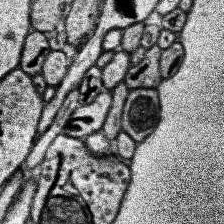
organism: Human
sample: Temporal Lobe